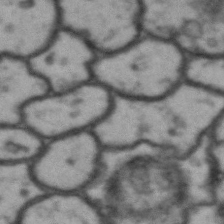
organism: Drosophila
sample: Brain